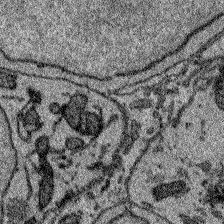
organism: Zebrafish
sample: Larval olfactory bulb